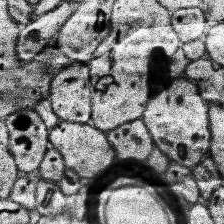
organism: Human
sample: Temporal Lobe